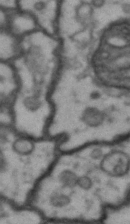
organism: Drosophila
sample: Brain